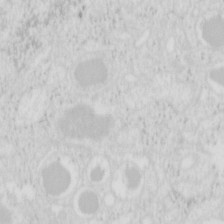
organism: Mouse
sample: Pancreas